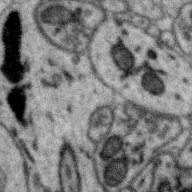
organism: Zebra finch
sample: Brain